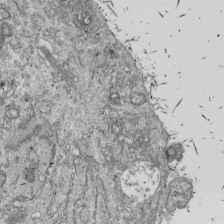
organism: Drosophila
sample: Cell division; meiosis; drosophila spermatocytes